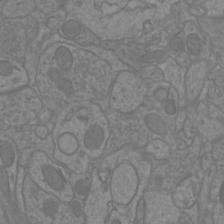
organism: Mouse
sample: Cortical neurons